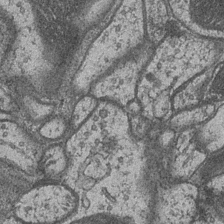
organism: Drosophila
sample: Optic medulla